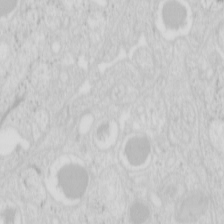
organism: Mouse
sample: Pancreas